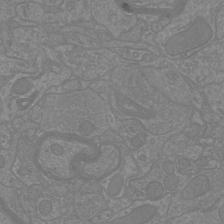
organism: Mouse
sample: Cortical neurons